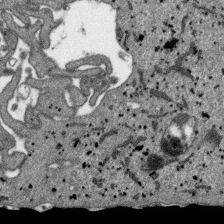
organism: Human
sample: Lung epithelial cells, uninfected (mock) control